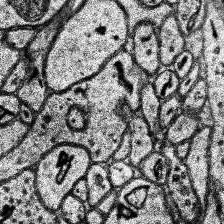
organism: Human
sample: Temporal Lobe